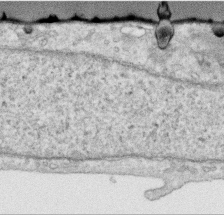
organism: Human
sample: Centriole in RPE cells